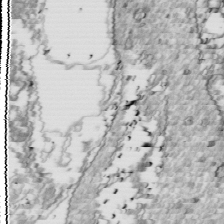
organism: Drosophila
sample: Cell division; meiosis; drosophila spermatocytes